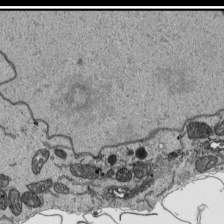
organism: Human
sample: Mitochondria in HCT116 cells